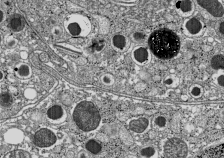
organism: C57BL Mouse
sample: Pancreatic islet